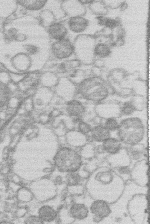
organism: Human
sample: Macrophage cells